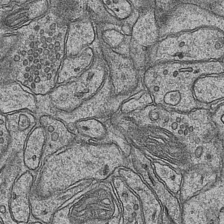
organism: Mouse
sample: CA1 Hippocampus